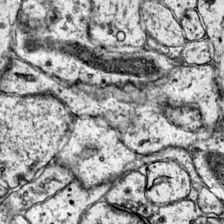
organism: Mouse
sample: Primary visual cortex